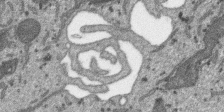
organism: Human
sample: Lung epithelial cells infected with SARS-CoV-2